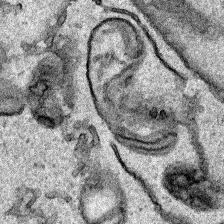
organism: Human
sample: Mitochondria in HCT116 cells